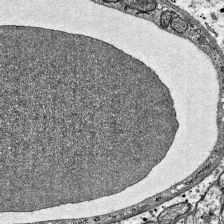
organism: Mouse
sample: Visual Cortex